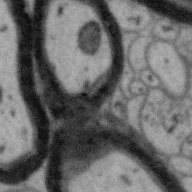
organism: Zebra finch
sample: Brain